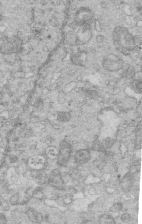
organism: Mouse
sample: Multiciliated cells